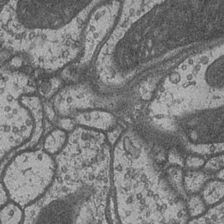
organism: Drosophila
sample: Optic medulla